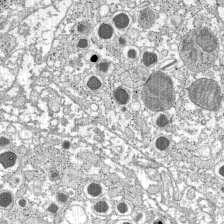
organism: C57BL Mouse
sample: Pancreatic islet